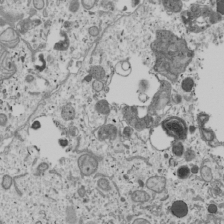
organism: Human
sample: Mitochondria in U2OS cells